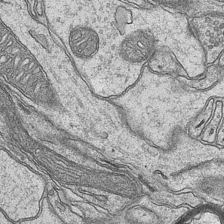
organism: Mouse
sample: CA1 Hippocampus